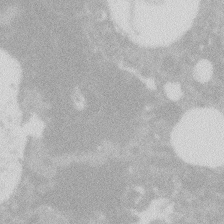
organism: Zebrafish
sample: Macrophage